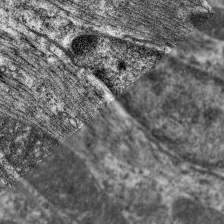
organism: C. elegans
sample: Pharynx